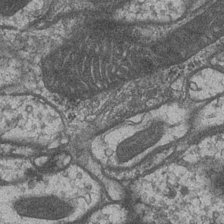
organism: Drosophila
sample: Optic medulla